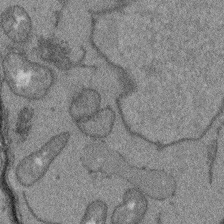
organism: Arabidopsis thaliana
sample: Root tip